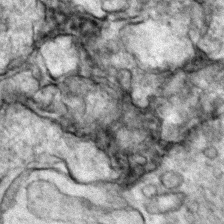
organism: Zebrafish